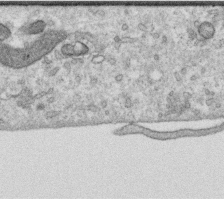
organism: Human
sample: Centriole in RPE cells